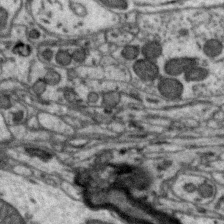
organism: Zebra finch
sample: Brain